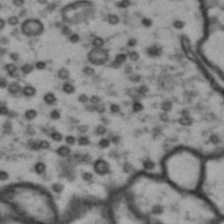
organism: Drosophila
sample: Brain